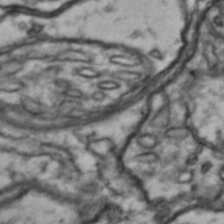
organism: Drosophila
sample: Brain